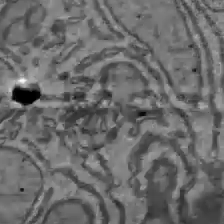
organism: C57BL Mouse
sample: Liver